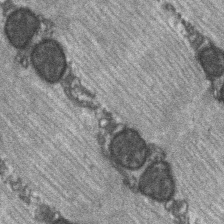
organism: C57BL Mouse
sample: Soleus